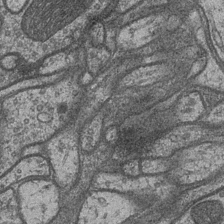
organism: Drosophila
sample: Optic medulla